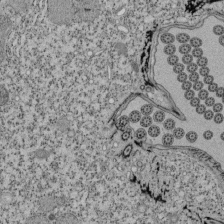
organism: Tetrahymena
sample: Cilia in tetrahymena